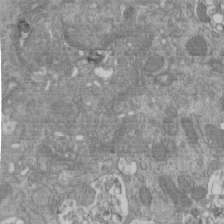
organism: Mouse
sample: ED-1 cell nuclei; centrioles